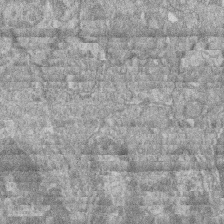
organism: Zebrafish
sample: Cilia; retinal pigment epithelium